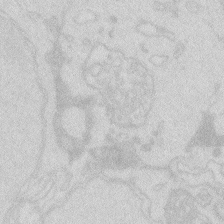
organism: Zebrafish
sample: Macrophage